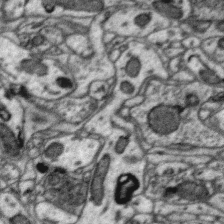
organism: Zebra finch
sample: Brain